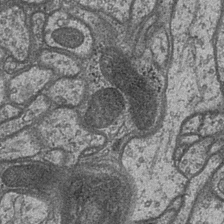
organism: Drosophila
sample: Optic medulla